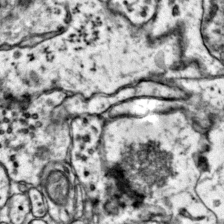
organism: Mouse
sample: Primary visual cortex